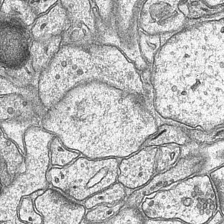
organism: Mouse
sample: CA1 Hippocampus